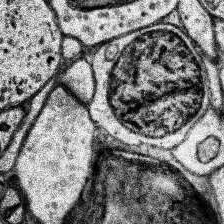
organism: Human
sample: Temporal Lobe